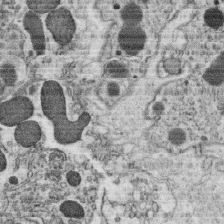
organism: C. elegans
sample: C. elegans oocyte; sperm cells